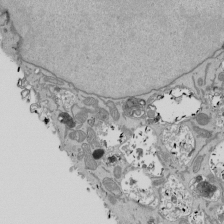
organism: Mouse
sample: ED-1 cell nuclei; centrioles